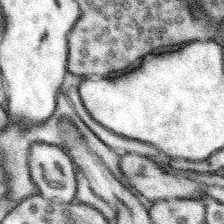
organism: Mouse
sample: Somatosensory cortex neuropil